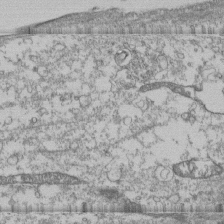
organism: Human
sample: Fibroblast cells